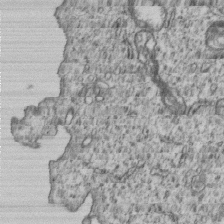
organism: Human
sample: MDA-MB-231 cells